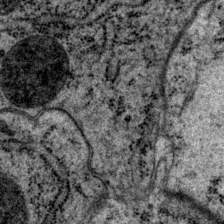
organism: P. pacificus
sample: Pharynx